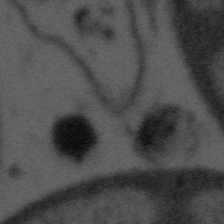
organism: Tuwongella immobilis